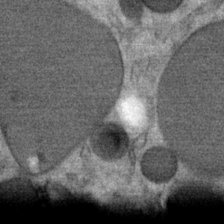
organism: Mouse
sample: Mouse Salivary gland